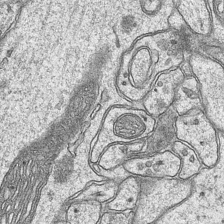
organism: Mouse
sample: CA1 Hippocampus